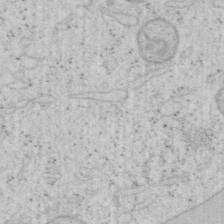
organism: Human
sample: HeLa cells